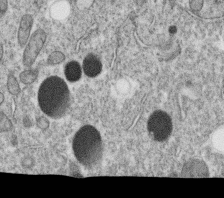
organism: C. elegans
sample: C. elegans oocyte; sperm cells